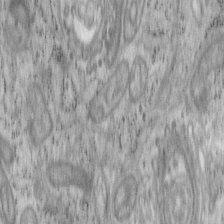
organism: Human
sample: HeLa cells